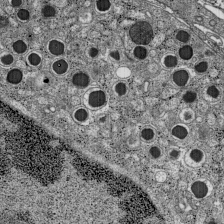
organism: C57BL Mouse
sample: Pancreatic islet